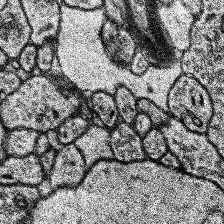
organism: Human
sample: Temporal Lobe